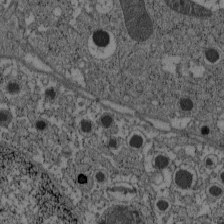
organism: C57BL Mouse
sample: Pancreatic islet